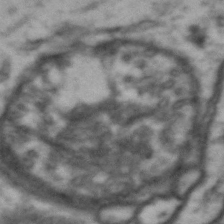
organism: Drosophila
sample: Brain